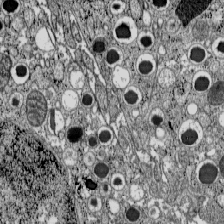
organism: C57BL Mouse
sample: Pancreatic islet